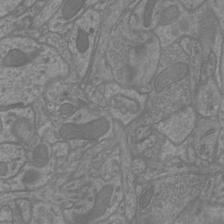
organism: Mouse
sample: Cortical neurons